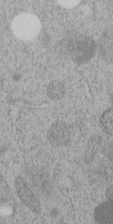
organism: C. elegans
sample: C. elegans embryo early stage